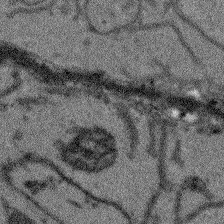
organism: Arabidopsis thaliana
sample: Root tip